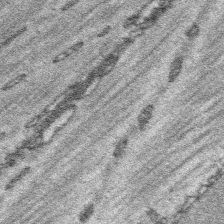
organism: Platynereis dumerilii